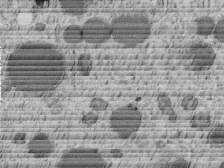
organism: C. elegans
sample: C. elegans embryo early stage